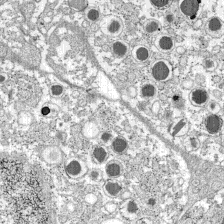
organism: C57BL Mouse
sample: Pancreatic islet